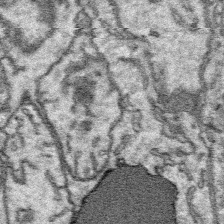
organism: Platynereis dumerilii